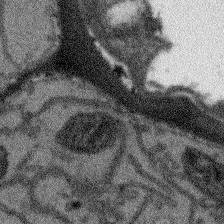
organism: Arabidopsis thaliana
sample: Root tip